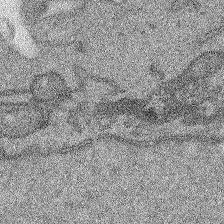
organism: Human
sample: HeLa cells